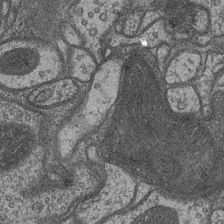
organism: Drosophila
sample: Optic medulla